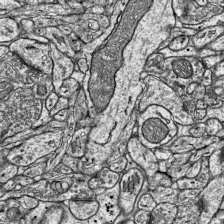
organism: Mouse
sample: Visual Cortex